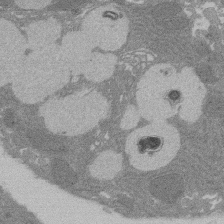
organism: Rat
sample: Salivary granule